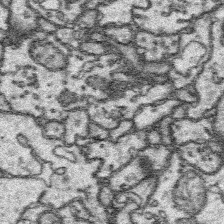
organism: Platynereis dumerilii